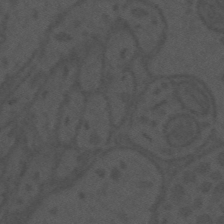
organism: Mouse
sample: Suprachiasmatic nucleus